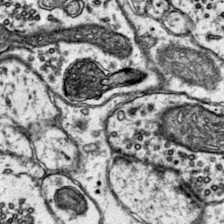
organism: Mouse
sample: Primary visual cortex